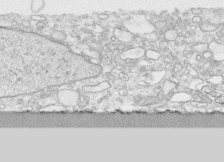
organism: Human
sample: CRL-1474